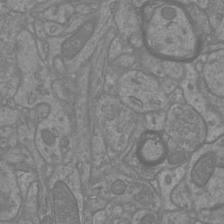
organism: Mouse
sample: Cortical neurons